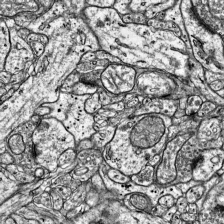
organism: Mouse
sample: Visual Cortex